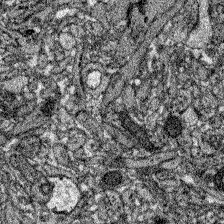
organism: Zebrafish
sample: Larval olfactory bulb